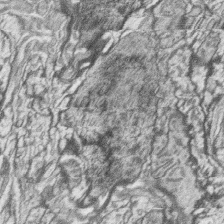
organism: Zebrafish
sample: synaptic ribbons in rod cells and cone cells